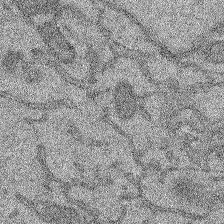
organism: Human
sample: HeLa cells